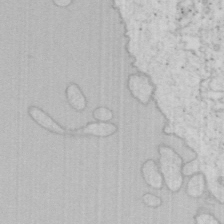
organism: Human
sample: HeLa cells